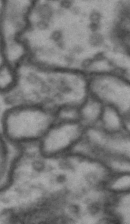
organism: Drosophila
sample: Brain